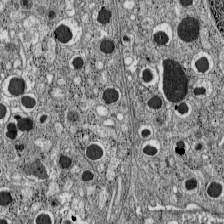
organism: C57BL Mouse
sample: Pancreatic islet